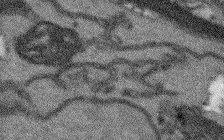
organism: Arabidopsis thaliana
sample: Root tip